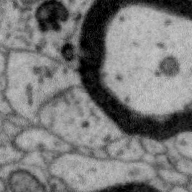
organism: Zebra finch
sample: Brain